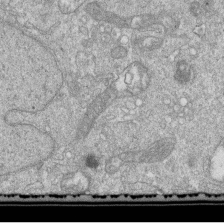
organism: Human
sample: HeLa cell HIV synapse